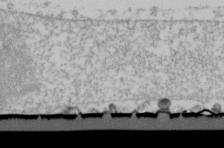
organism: Human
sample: U2-OS cells